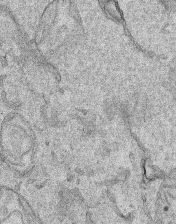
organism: Human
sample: Mitochondria in HCT116 cells